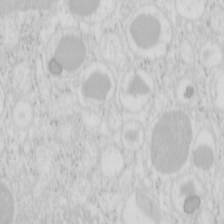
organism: Mouse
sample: Pancreas